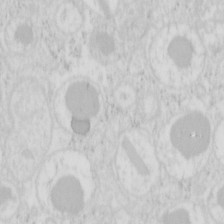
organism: Mouse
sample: Pancreas